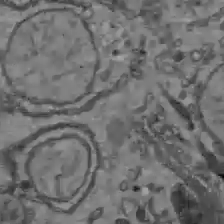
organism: C57BL Mouse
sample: Liver